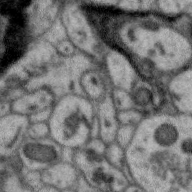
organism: Zebra finch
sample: Brain